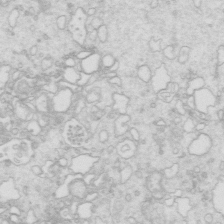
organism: Mouse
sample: Multiciliated cells